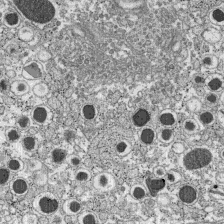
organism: C57BL Mouse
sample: Pancreatic islet